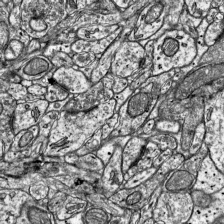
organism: Mouse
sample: Visual Cortex